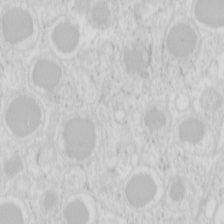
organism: Mouse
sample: Pancreas